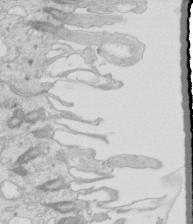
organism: Mouse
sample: Multiciliated cells